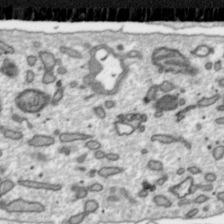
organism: Toxoplasma gondii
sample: Parasites in a vacuole inside a host cell